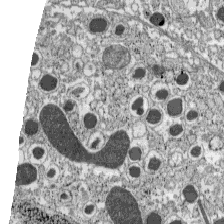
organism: C57BL Mouse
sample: Pancreatic islet